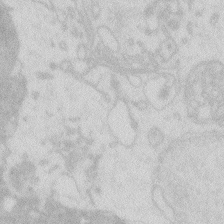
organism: Zebrafish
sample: Macrophage